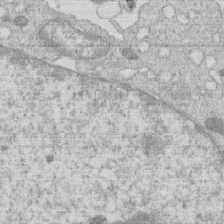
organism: Human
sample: Macrophage cells